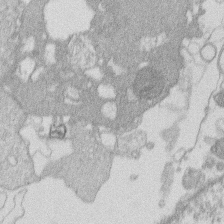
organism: Human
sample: Macrophage cells